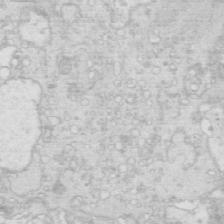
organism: Mouse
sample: Multiciliated cells